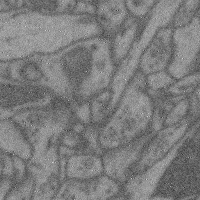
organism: Mouse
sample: Cerebral cortex